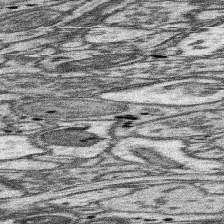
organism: Mouse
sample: Somatosensory cortex neuropil